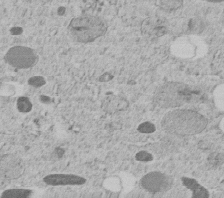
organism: C. elegans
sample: C. elegans embryo early stage